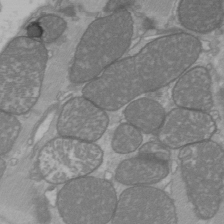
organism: C57BL Mouse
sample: Heart